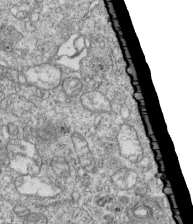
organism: Human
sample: HeLa cell HIV synapse